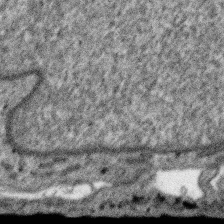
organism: Human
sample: Lung epithelial cells infected with SARS-CoV-2